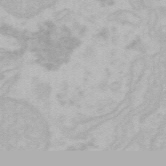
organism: Mouse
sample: Choroid plexus